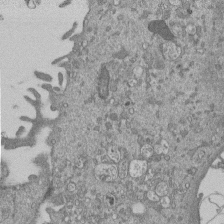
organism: Mouse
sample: ED-1 cell nuclei; centrioles